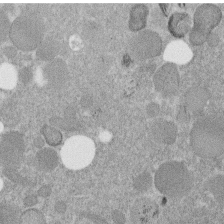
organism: C. elegans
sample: C. elegans embryo early stage